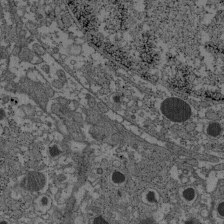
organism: C57BL Mouse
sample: Pancreatic islet